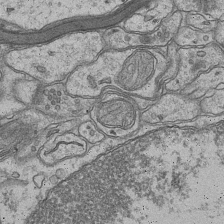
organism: Mouse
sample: CA1 Hippocampus